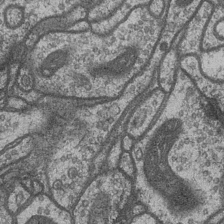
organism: Drosophila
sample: Optic medulla